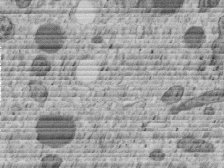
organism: C. elegans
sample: C. elegans embryo early stage